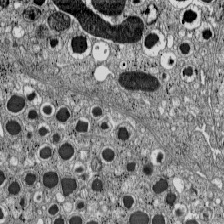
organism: C57BL Mouse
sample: Pancreatic islet